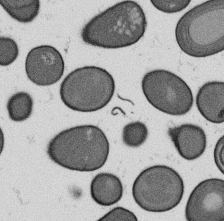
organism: B. subtilis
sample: Bacterial spore